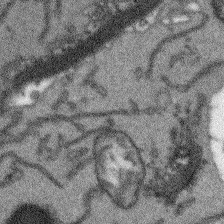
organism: Arabidopsis thaliana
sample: Root tip